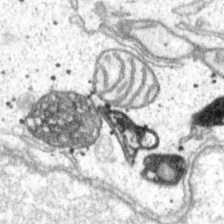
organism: Human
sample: HeLa cells